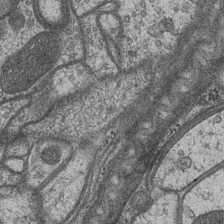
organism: Drosophila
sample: Optic medulla